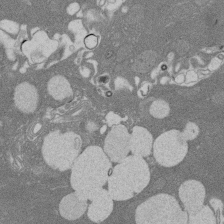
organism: Rat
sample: Salivary granule